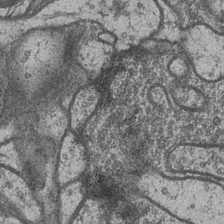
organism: Drosophila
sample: Optic medulla